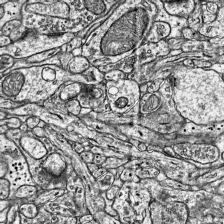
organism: Mouse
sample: Visual Cortex